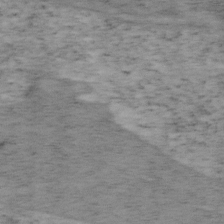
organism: Mouse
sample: OT-I killer T cells with ID8 ovarian cancer cells